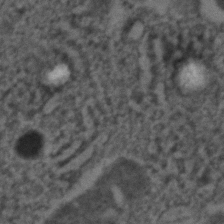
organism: C. elegans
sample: C. elegans embryo